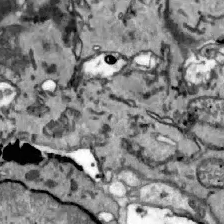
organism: Zebrafish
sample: Actinotrichia fibers